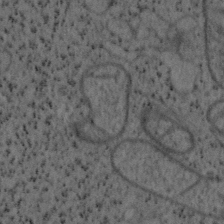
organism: Human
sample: HeLa cells